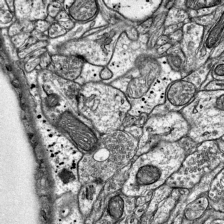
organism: Mouse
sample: Visual Cortex